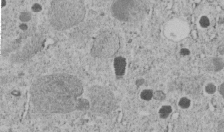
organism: C. elegans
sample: C. elegans embryo early stage